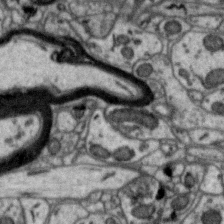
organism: Zebra finch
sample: Brain